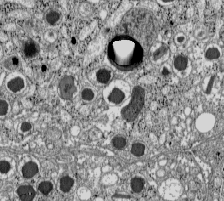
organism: C57BL Mouse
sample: Pancreatic islet